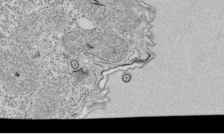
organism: Tetrahymena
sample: Cilia in tetrahymena